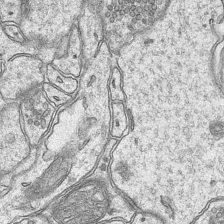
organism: Mouse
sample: CA1 Hippocampus